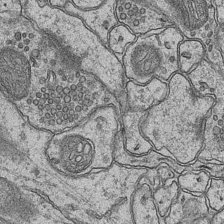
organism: Mouse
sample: CA1 Hippocampus